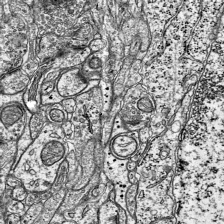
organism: Mouse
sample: Visual Cortex